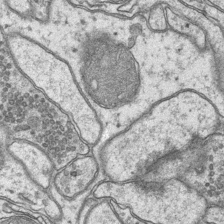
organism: Mouse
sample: CA1 Hippocampus